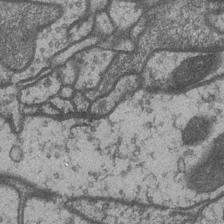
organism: Drosophila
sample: Optic medulla